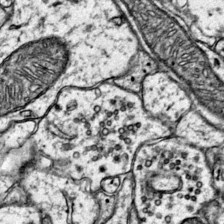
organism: Mouse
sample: Primary visual cortex